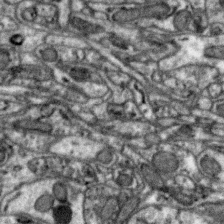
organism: Zebra finch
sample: Brain